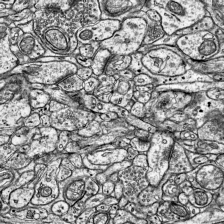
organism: Mouse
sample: Visual Cortex